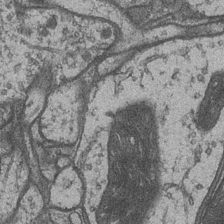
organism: Drosophila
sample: Optic medulla